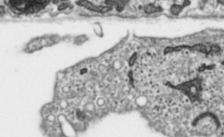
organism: Toxoplasma gondii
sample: Parasites in a vacuole inside a host cell